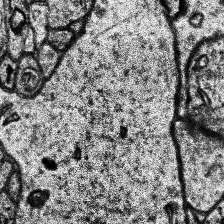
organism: Human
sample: Temporal Lobe